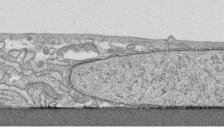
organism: Human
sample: CRL-1474